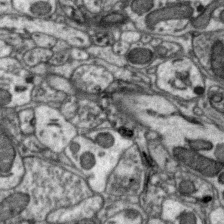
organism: Zebra finch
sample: Brain